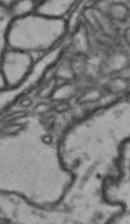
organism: Drosophila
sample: Brain